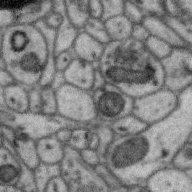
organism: Zebra finch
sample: Brain